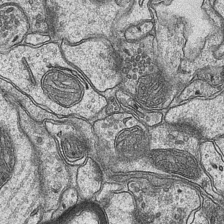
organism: Mouse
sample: CA1 Hippocampus